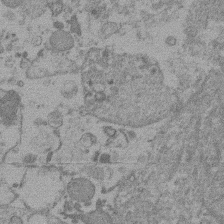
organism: Mouse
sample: Dividing mouse embryo 1 cell stage